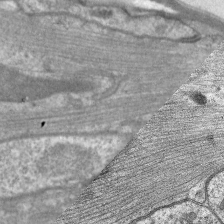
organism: C. elegans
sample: Pharynx